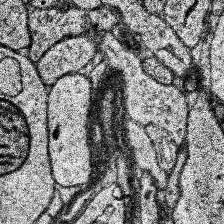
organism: Human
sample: Temporal Lobe